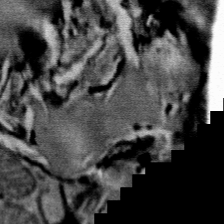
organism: Mouse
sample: Mouse Salivary gland